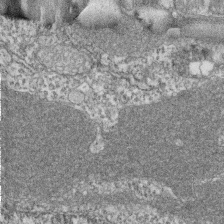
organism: Zebrafish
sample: Cilia; retinal pigment epithelium